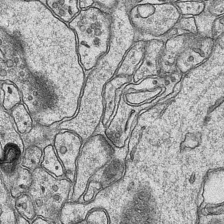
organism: Mouse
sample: CA1 Hippocampus